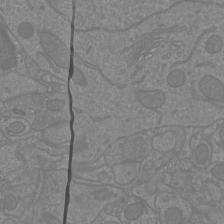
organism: Mouse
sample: Cortical neurons